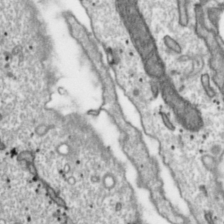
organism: Toxoplasma gondii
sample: Parasites in a vacuole inside a host cell